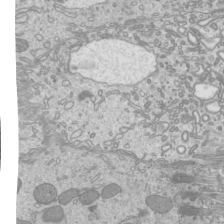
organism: Mouse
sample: Cilia; mouse epididymis